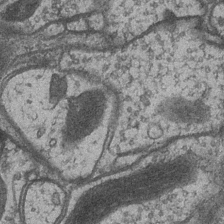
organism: Drosophila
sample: Optic medulla